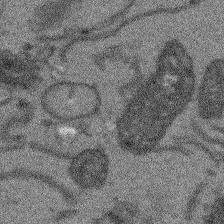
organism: Arabidopsis thaliana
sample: Root tip